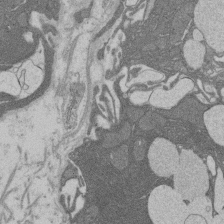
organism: Rat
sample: Salivary granule